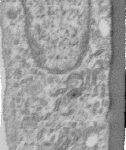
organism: Human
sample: Centriole in RPE cells